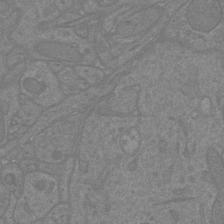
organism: Mouse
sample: Cortical neurons